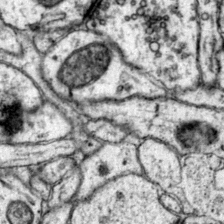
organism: Mouse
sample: Primary visual cortex